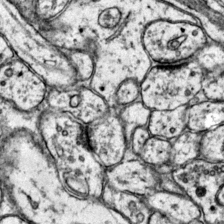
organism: Mouse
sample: Primary visual cortex